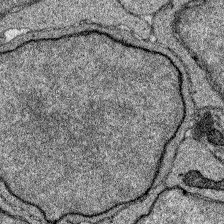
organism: Zebrafish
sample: Larval olfactory bulb